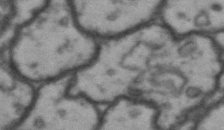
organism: Drosophila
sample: Brain